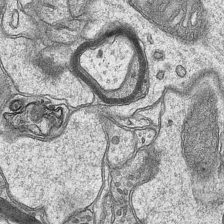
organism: Mouse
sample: CA1 Hippocampus